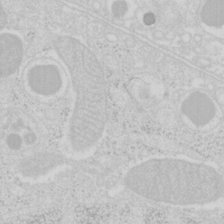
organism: Mouse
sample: Pancreas